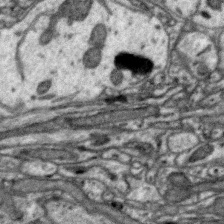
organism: Zebra finch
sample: Brain